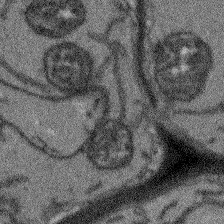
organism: Arabidopsis thaliana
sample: Root tip